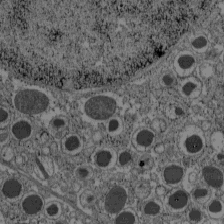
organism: C57BL Mouse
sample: Pancreatic islet